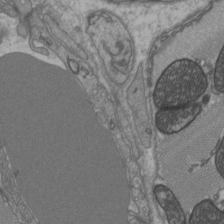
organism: C57BL Mouse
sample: Heart